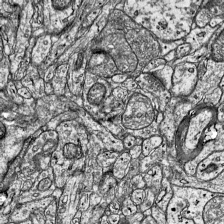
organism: Mouse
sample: Visual Cortex